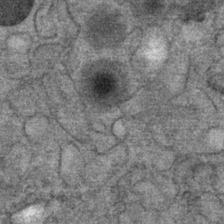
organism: Mouse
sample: Mouse Salivary gland